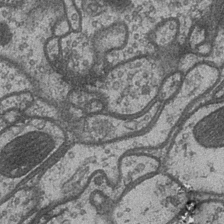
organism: Drosophila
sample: Optic medulla